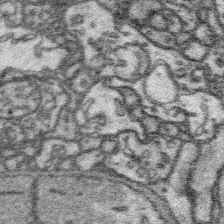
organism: Platynereis dumerilii